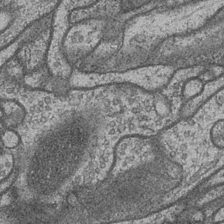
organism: Drosophila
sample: Optic medulla